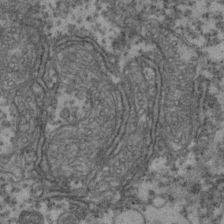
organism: Zebrafish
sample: Zebrafish embryo